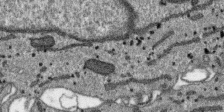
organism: Human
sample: Lung epithelial cells, uninfected (mock) control